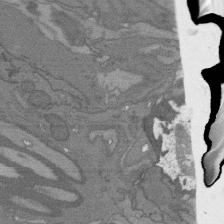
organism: C. elegans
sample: AFD neurons C. elegans